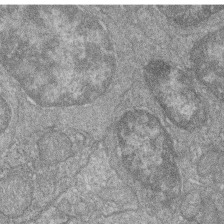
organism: Zebrafish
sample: Cilia; retinal pigment epithelium